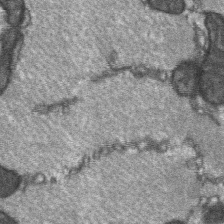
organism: C57BL Mouse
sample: Soleus